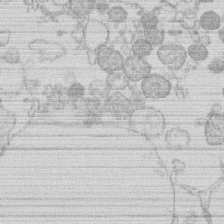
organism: Human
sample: Macrophage cells